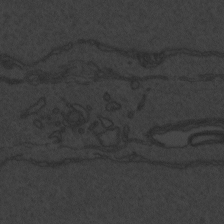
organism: Zebrafish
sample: Macrophage infected with Toxoplasma gondii